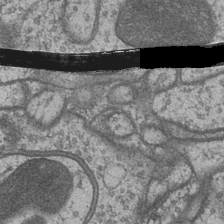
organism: Drosophila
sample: Optic medulla